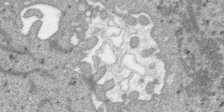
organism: Human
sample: Lung epithelial cells infected with SARS-CoV-2